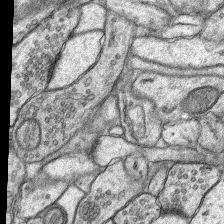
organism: Rat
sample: Hippocampus